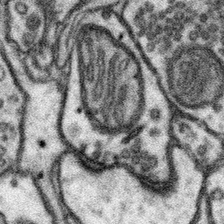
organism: Mouse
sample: Somatosensory cortex neuropil